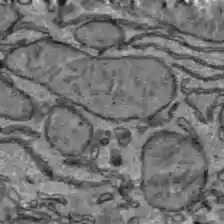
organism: C57BL Mouse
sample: Liver